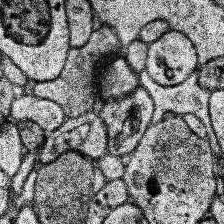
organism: Human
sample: Temporal Lobe